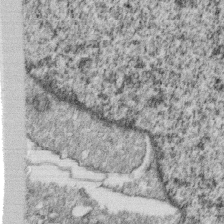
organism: African green monkey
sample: Vero E6 cells infected with SARS-CoV-2